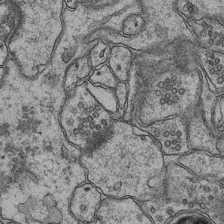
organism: Mouse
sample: CA1 Hippocampus